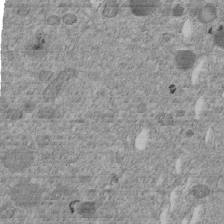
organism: C. elegans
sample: C. elegans embryo early stage